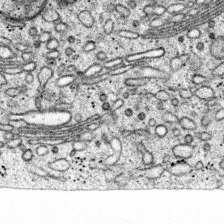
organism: Human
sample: HeLa cells